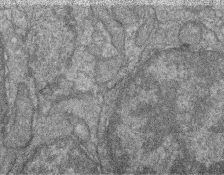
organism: Zebrafish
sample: Cilia; retinal pigment epithelium